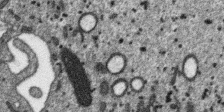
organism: Human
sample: Lung epithelial cells infected with SARS-CoV-2